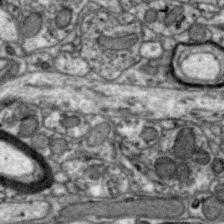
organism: Zebra finch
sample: Brain